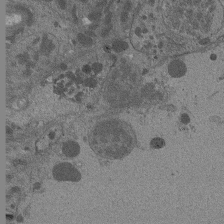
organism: Drosophila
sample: Antenna